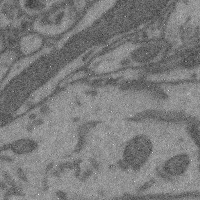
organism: Mouse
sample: Cerebral cortex